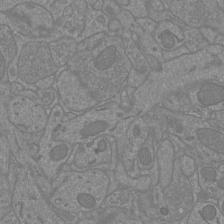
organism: Mouse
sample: Cortical neurons